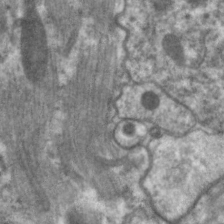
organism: C. elegans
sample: Pharynx